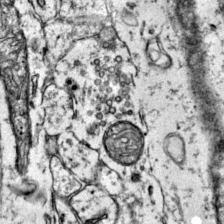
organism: Mouse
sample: Primary visual cortex